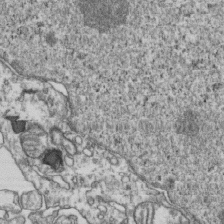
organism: Human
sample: Activated Jurkat CD4+ T cells